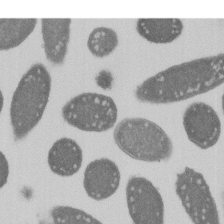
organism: E. coli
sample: Bacterial nucleoid